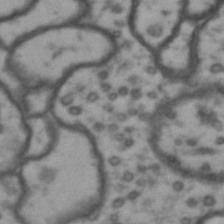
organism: Drosophila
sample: Brain